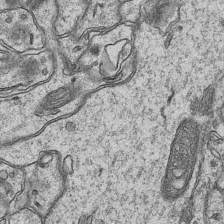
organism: Mouse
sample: CA1 Hippocampus